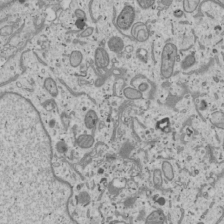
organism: Human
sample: Mitochondria in U2OS cells